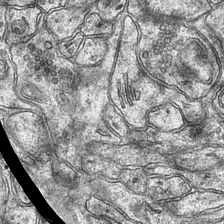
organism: Mouse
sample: CA1 Hippocampus